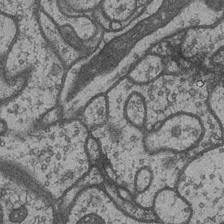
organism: Drosophila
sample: Optic medulla